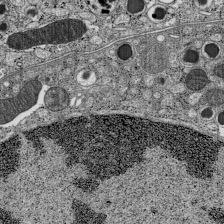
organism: C57BL Mouse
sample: Pancreatic islet